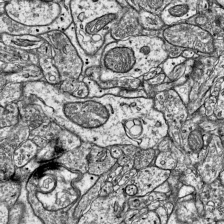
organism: Mouse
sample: Visual Cortex